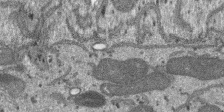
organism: Human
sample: Lung epithelial cells infected with SARS-CoV-2